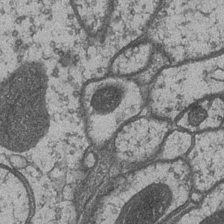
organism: Drosophila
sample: Optic medulla